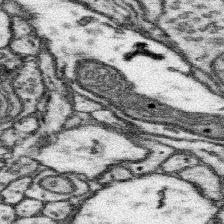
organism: Mouse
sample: Somatosensory cortex neuropil